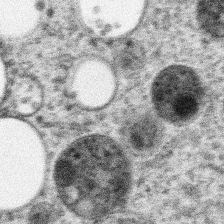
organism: Human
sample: HeLa cells